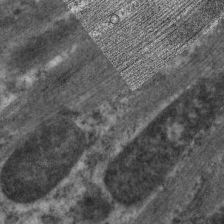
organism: C. elegans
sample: Pharynx